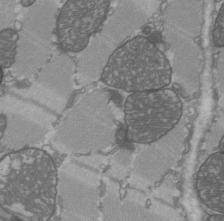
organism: C57BL Mouse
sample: Heart